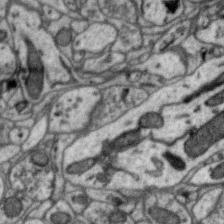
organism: Zebra finch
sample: Brain